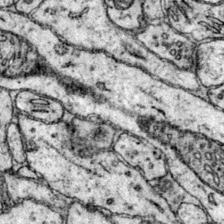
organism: Mouse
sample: Primary visual cortex